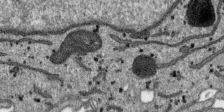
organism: Human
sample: Lung epithelial cells, uninfected (mock) control